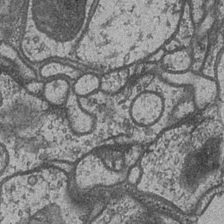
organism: Drosophila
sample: Optic medulla